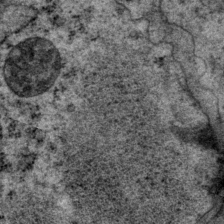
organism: P. pacificus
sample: Pharynx